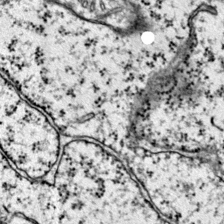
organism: Mouse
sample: Primary visual cortex